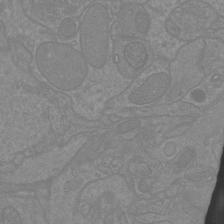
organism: Mouse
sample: Cortical neurons